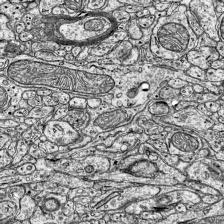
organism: Mouse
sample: Visual Cortex